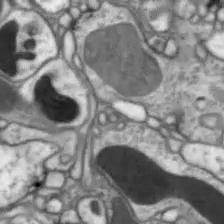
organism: Drosophila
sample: Optic lobe